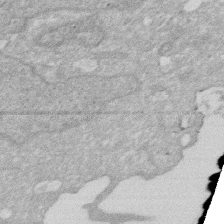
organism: Human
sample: HIV infected U937 cells